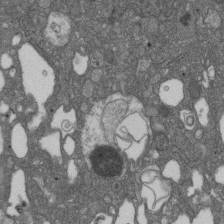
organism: Drosophila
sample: Nephrocyte